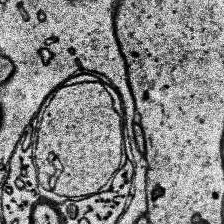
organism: Human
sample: Temporal Lobe